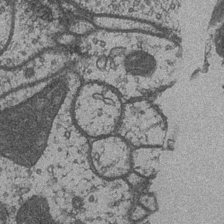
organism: Drosophila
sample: Optic medulla